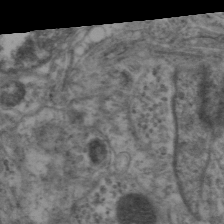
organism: Mouse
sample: Neocortex